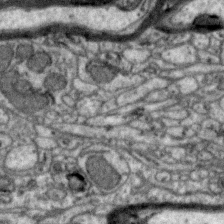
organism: Zebra finch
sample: Brain